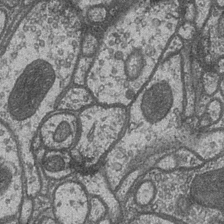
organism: Drosophila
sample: Optic medulla